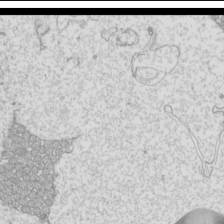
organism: Mouse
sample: Cilia; mouse epididymis